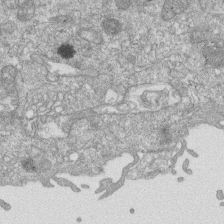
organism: Human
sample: HeLa cell HIV synapse